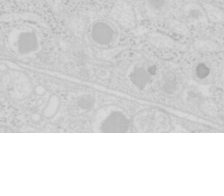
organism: Mouse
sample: Pancreas